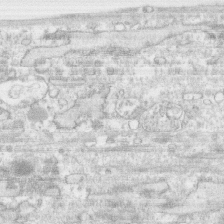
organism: Human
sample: CRL-1474